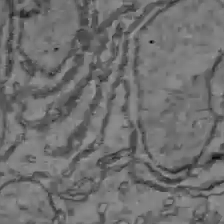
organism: C57BL Mouse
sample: Liver